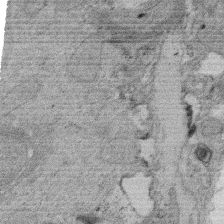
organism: Rat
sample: Salivary granule